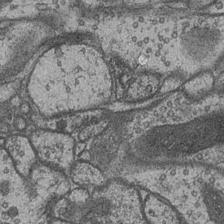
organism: Drosophila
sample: Optic medulla